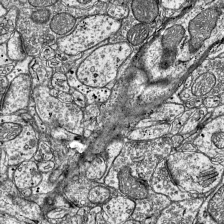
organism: Mouse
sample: Visual Cortex